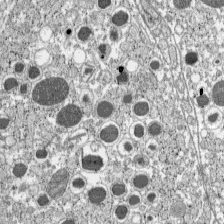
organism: C57BL Mouse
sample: Pancreatic islet